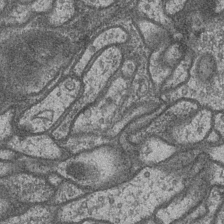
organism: Drosophila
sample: Optic medulla